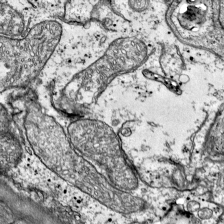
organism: Mouse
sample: Visual Cortex